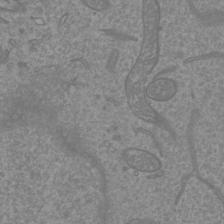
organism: Mouse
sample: Cortical neurons